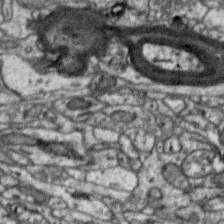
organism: Zebra finch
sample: Brain